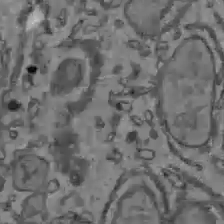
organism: C57BL Mouse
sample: Liver